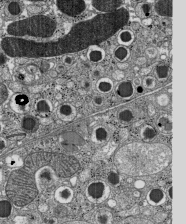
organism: C57BL Mouse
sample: Pancreatic islet